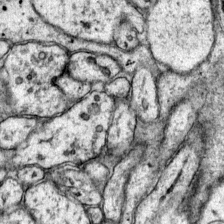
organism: Mouse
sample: Primary visual cortex